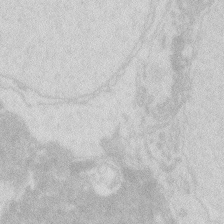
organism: Zebrafish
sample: Macrophage